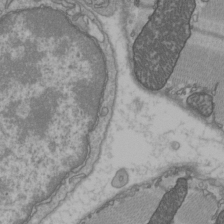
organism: C57BL Mouse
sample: Heart